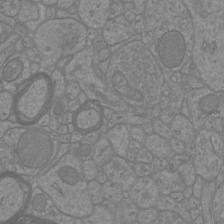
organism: Mouse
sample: Cortical neurons